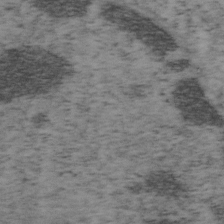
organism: Mouse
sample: OT-I killer T cells with ID8 ovarian cancer cells